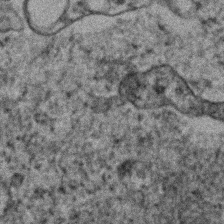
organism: Human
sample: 1205lu cells